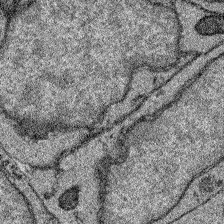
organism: Zebrafish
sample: Larval olfactory bulb